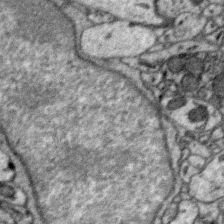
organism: Zebra finch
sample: Brain